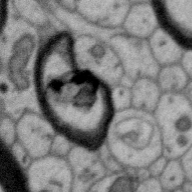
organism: Zebra finch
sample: Brain